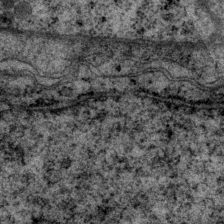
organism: P. pacificus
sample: Pharynx